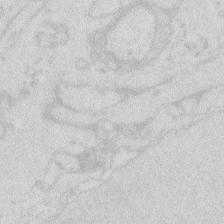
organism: Zebrafish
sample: Macrophage